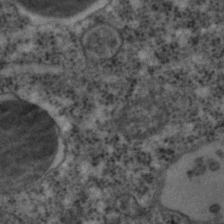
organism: C. elegans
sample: C. elegans embryo